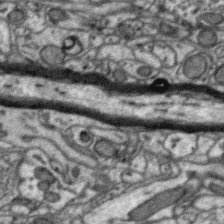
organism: Zebra finch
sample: Brain